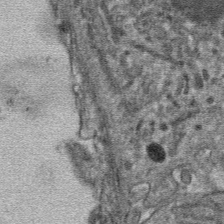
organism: Mouse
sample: Mouse hepatocytes